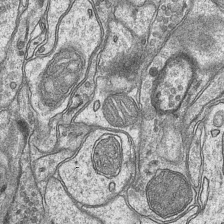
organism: Mouse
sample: CA1 Hippocampus